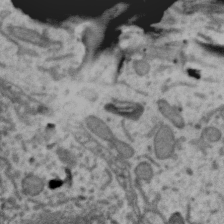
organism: Zebra finch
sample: Brain